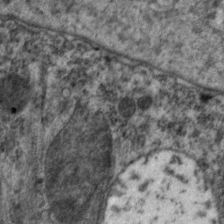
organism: C. elegans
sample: Pharynx